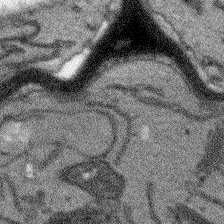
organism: Arabidopsis thaliana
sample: Root tip